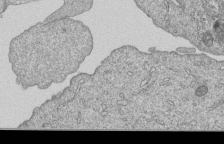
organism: Human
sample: MDA-MB-231 cells